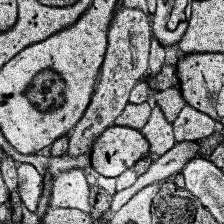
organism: Human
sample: Temporal Lobe